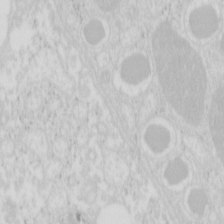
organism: Mouse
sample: Pancreas